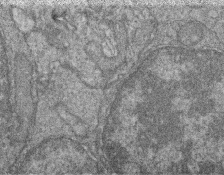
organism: Zebrafish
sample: Cilia; retinal pigment epithelium